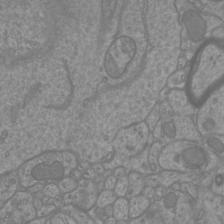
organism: Mouse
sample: Cortical neurons